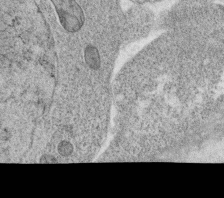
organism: C. elegans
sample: C. elegans oocyte; sperm cells